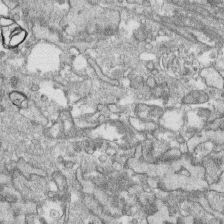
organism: Human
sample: CRL-1474